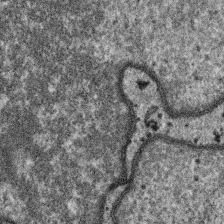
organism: Human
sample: Lung epithelial cells infected with SARS-CoV-2